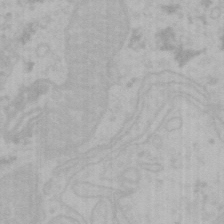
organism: Mouse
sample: Choroid plexus